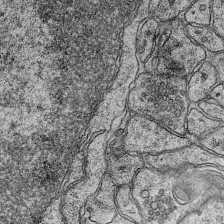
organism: Mouse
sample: CA1 Hippocampus